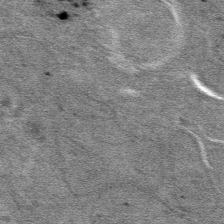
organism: Mouse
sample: Mouse hepatocytes